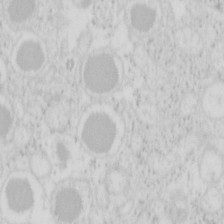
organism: Mouse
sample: Pancreas